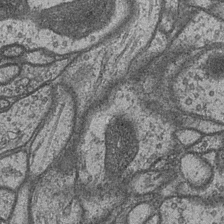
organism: Drosophila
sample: Optic medulla